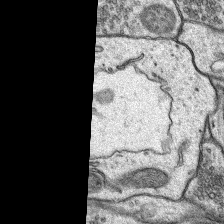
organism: Rat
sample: Hippocampus